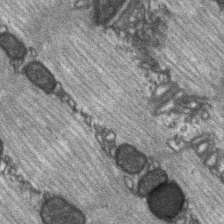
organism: C57BL Mouse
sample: Soleus